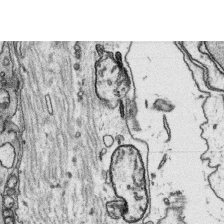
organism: Platynereis dumerilii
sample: Parapodia